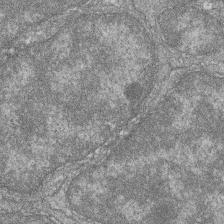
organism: Zebrafish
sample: Cilia; retinal pigment epithelium